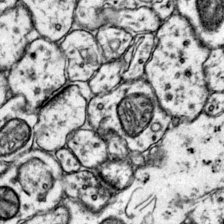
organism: Mouse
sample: Primary visual cortex